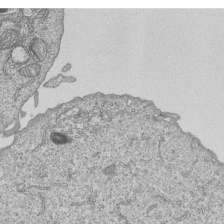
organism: Human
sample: MDA-MB-231 cells